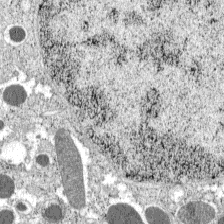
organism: C57BL Mouse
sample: Pancreatic islet